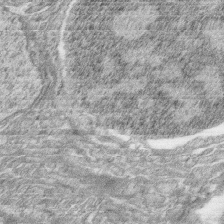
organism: Zebrafish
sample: synaptic ribbons in rod cells and cone cells